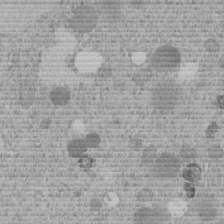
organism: C. elegans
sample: C. elegans embryo early stage